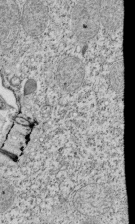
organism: Tetrahymena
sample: Cilia in tetrahymena